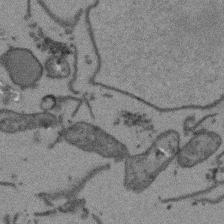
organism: Arabidopsis thaliana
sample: Root tip